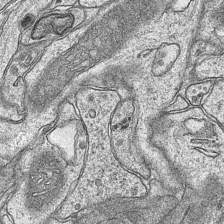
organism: Mouse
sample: CA1 Hippocampus